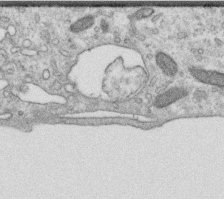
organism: Human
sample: Centriole in RPE cells